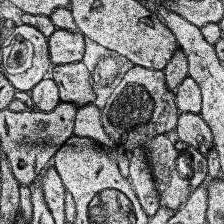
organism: Human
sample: Temporal Lobe